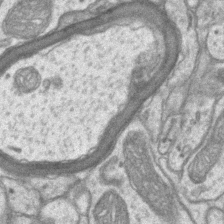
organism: Mouse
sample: CA1 Hippocampus